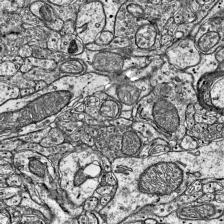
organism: Mouse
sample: Visual Cortex